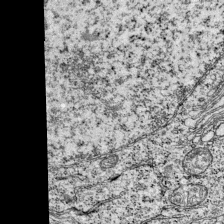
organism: Mouse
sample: Visual Cortex